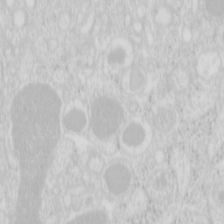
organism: Mouse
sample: Pancreas